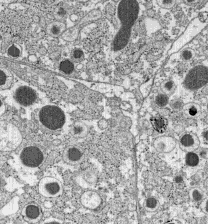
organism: C57BL Mouse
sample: Pancreatic islet